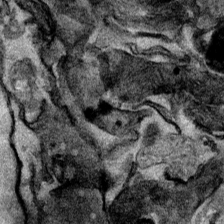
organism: Mouse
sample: Cancer cell death in ED-1 cells